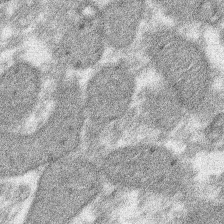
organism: Xenopus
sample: Cilia; centrioles in frog embryo cells